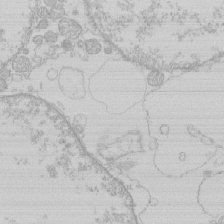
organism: Human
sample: Macrophage cells